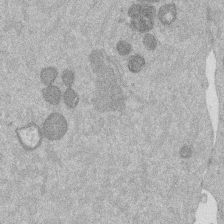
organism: Mouse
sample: Dividing mouse embryo 1 cell stage